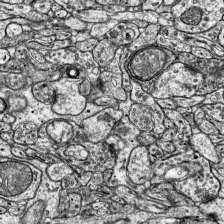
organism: Mouse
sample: Visual Cortex